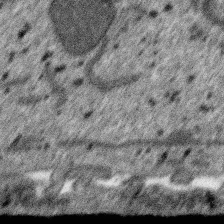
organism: Human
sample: Lung epithelial cells infected with SARS-CoV-2